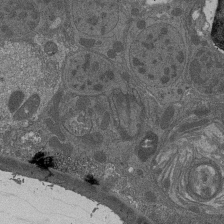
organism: Drosophila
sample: Antenna